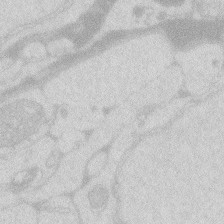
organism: Zebrafish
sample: Macrophage